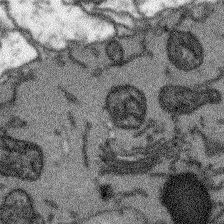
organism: Arabidopsis thaliana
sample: Root tip